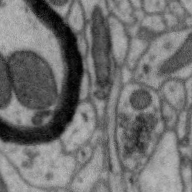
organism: Zebra finch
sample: Brain